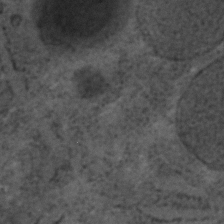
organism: C. elegans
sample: C. elegans embryo